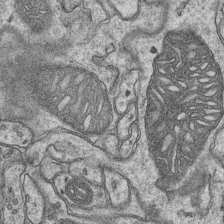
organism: Mouse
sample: CA1 Hippocampus